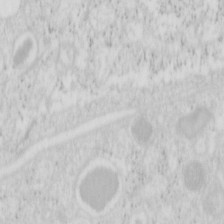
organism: Mouse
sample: Pancreas